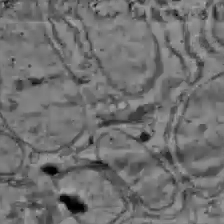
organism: C57BL Mouse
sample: Liver